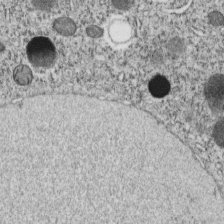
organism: C. elegans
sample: C. elegans embryo early stage